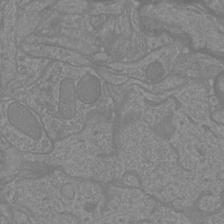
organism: Mouse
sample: Cortical neurons